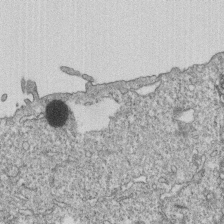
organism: Human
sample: HeLa cell HIV synapse